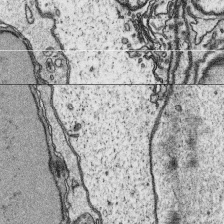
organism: Platynereis dumerilii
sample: Parapodia